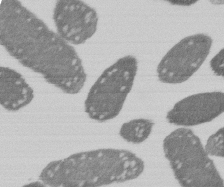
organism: E. coli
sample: Bacterial nucleoid